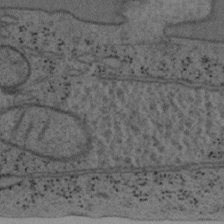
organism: Human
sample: HeLa cells